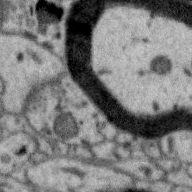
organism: Zebra finch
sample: Brain